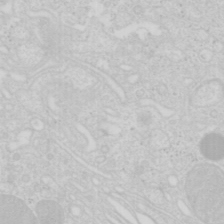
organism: Mouse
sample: Pancreas